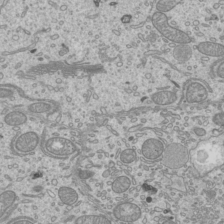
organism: Mouse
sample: Cilia; mouse epididymis